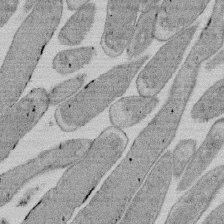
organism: E. coli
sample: Bacterial nucleoid